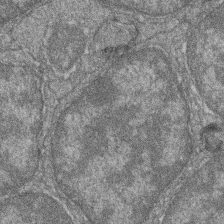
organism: Zebrafish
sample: Cilia; retinal pigment epithelium